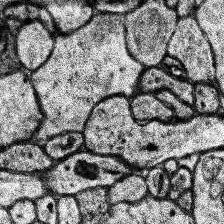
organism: Human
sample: Temporal Lobe